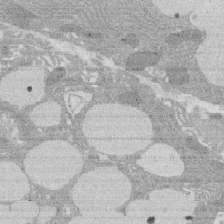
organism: Rat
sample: Salivary granule